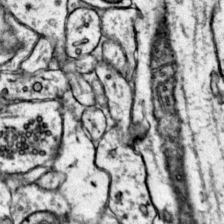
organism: Mouse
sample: Primary visual cortex